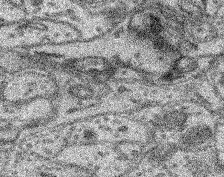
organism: Mouse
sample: Retina